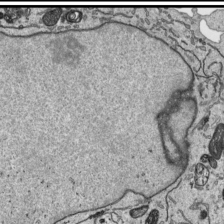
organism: Human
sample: Mitochondria in HCT116 cells